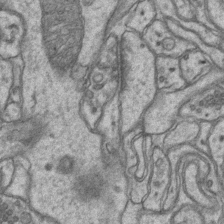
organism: Mouse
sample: CA1 Hippocampus